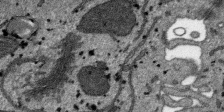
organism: Human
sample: Lung epithelial cells, uninfected (mock) control